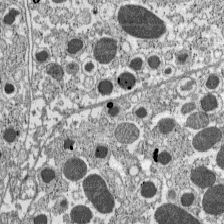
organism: C57BL Mouse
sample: Pancreatic islet